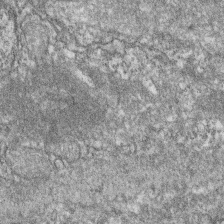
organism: Zebrafish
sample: Cilia; retinal pigment epithelium